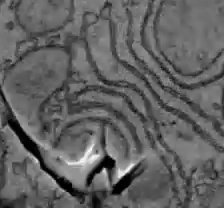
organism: C57BL Mouse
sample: Liver